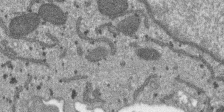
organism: Human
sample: Lung epithelial cells infected with SARS-CoV-2